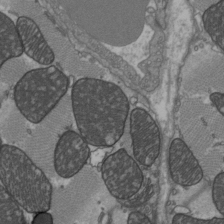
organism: C57BL Mouse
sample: Heart